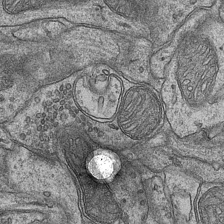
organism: Mouse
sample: CA1 Hippocampus